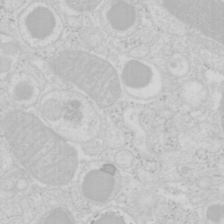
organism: Mouse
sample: Pancreas